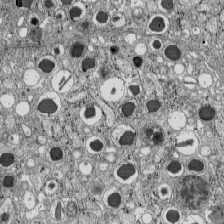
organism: C57BL Mouse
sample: Pancreatic islet